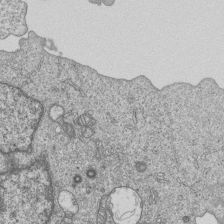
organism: Human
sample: MDA-MB-231 cells